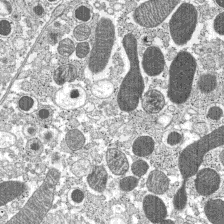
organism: C57BL Mouse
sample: Pancreatic islet